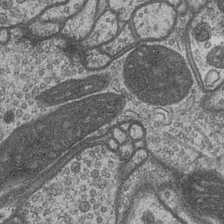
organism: Drosophila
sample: Optic medulla